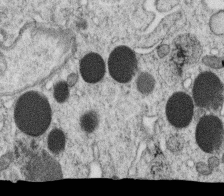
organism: C. elegans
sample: C. elegans oocyte; sperm cells